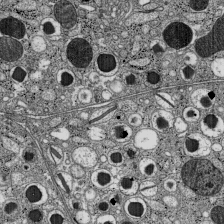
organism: C57BL Mouse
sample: Pancreatic islet